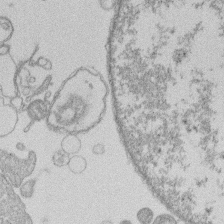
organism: Human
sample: Macrophage cells